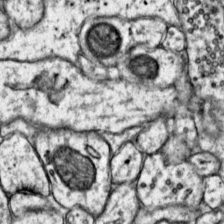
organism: Mouse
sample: Primary visual cortex